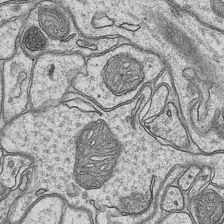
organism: Mouse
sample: CA1 Hippocampus